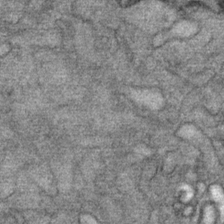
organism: Mouse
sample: Mouse Salivary gland